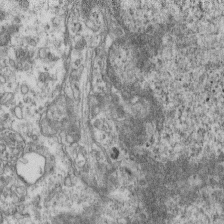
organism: Mouse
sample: Centriole in ependymal cells